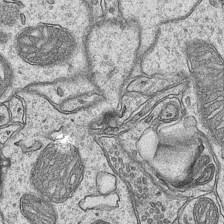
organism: Mouse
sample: CA1 Hippocampus